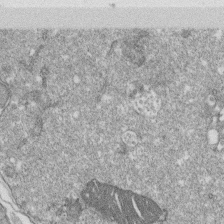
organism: African green monkey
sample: Vero E6 cells infected with SARS-CoV-2